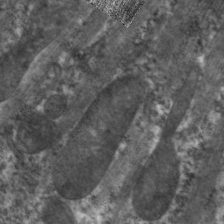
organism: C. elegans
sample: Pharynx